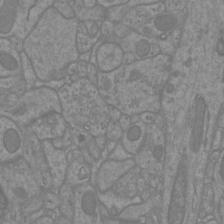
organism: Mouse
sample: Cortical neurons